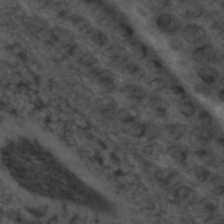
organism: C. elegans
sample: C. elegans embryo